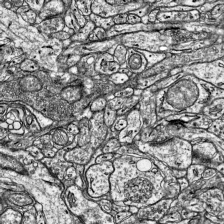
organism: Mouse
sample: Visual Cortex